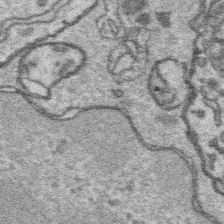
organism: Platynereis dumerilii